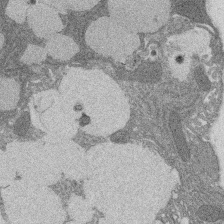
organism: Rat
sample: Salivary granule